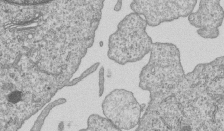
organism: Human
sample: MDA-MB-231 cells